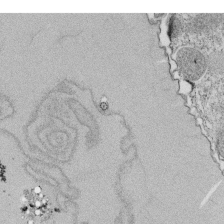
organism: Tetrahymena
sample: Cilia in tetrahymena